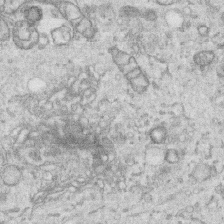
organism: Human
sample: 1205lu cells